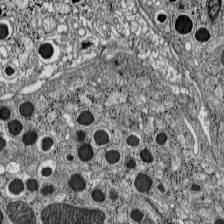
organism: C57BL Mouse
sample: Pancreatic islet